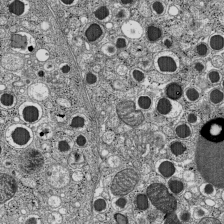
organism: C57BL Mouse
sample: Pancreatic islet